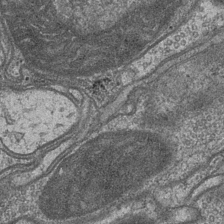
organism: Drosophila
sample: Optic medulla